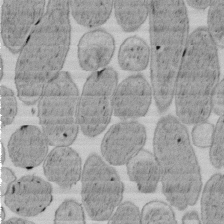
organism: E. coli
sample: Bacterial nucleoid